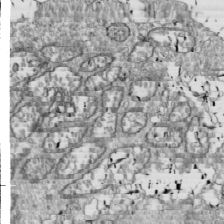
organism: Drosophila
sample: Cell division; meiosis; drosophila spermatocytes